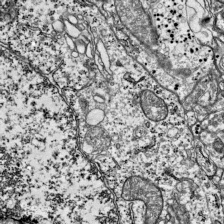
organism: Mouse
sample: Visual Cortex